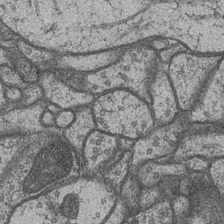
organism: Drosophila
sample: Optic medulla